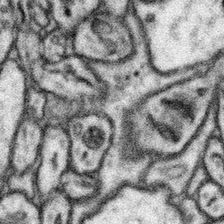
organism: Mouse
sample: Somatosensory cortex neuropil